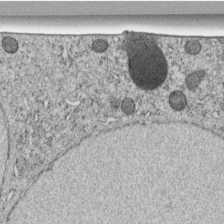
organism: C. elegans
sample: C. elegans embryo early stage